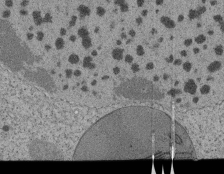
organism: Tetrahymena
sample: Cilia in tetrahymena